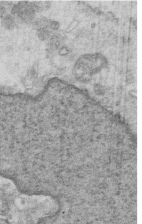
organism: Mouse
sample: Multiciliated cells